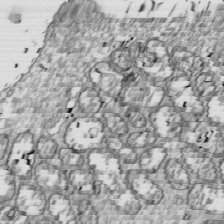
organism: Drosophila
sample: Cell division; meiosis; drosophila spermatocytes